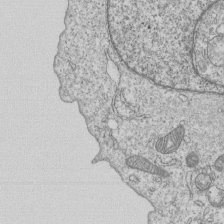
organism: Human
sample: MDA-MB-231 cells